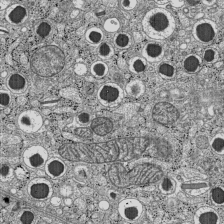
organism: C57BL Mouse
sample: Pancreatic islet